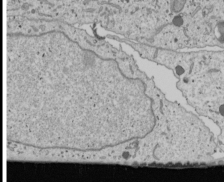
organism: Human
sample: Mitochondria in U2OS cells